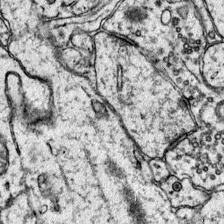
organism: Mouse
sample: Primary visual cortex